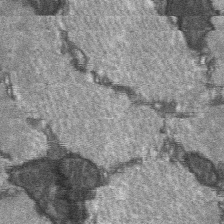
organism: C57BL Mouse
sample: Soleus